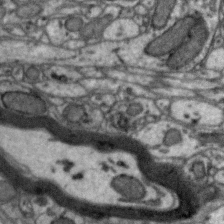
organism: Zebra finch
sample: Brain